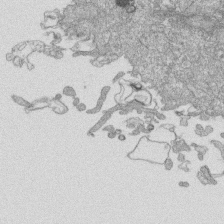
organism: Human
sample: HeLa cell HIV synapse